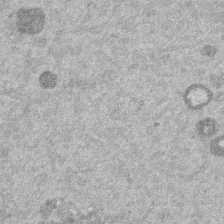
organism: Mouse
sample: Dividing mouse embryo 1 cell stage